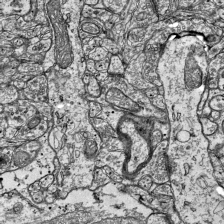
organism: Mouse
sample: Visual Cortex